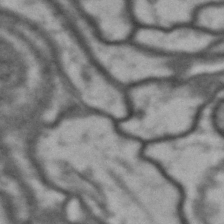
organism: Drosophila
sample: Brain